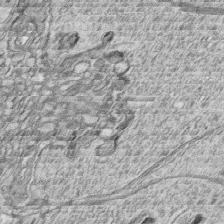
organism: Zebrafish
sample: synaptic ribbons in rod cells and cone cells